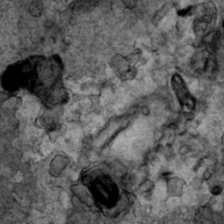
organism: Human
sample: Mitochondria in HCT116 cells